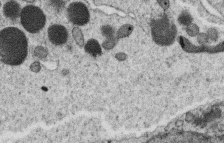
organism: C. elegans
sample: C. elegans oocyte; sperm cells